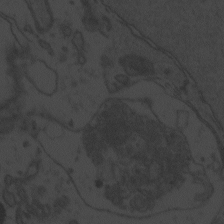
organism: Zebrafish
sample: Macrophage infected with Toxoplasma gondii